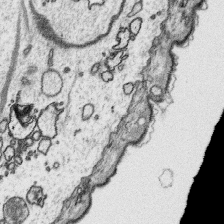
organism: Platynereis dumerilii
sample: Parapodia